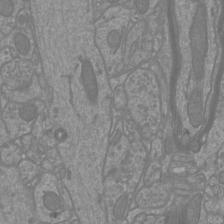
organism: Mouse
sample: Cortical neurons